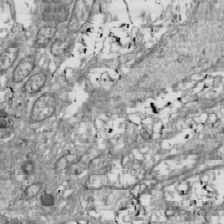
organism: Drosophila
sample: Cell division; meiosis; drosophila spermatocytes